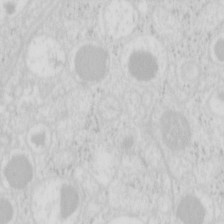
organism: Mouse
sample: Pancreas